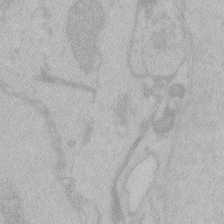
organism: Zebrafish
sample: Macrophage infected with Toxoplasma gondii